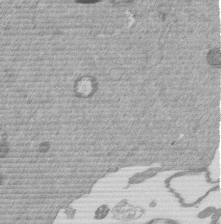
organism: Mouse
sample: Dividing mouse embryo 1 cell stage